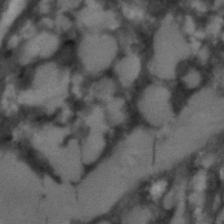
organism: C. elegans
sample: C. elegans embryo